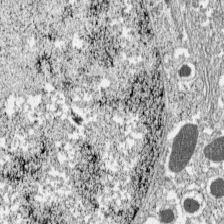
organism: C57BL Mouse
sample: Pancreatic islet